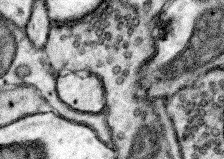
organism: Mouse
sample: Somatosensory cortex neuropil